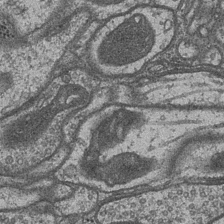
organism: Drosophila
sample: Optic medulla